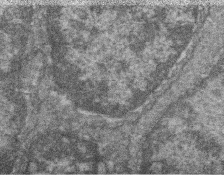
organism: Zebrafish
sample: Cilia; retinal pigment epithelium